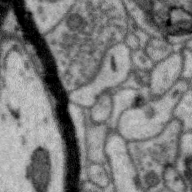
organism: Zebra finch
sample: Brain